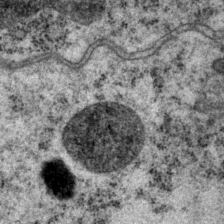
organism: P. pacificus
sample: Pharynx